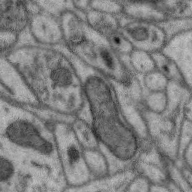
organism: Zebra finch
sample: Brain